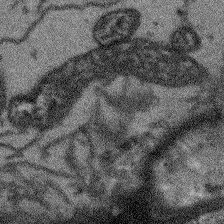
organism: Arabidopsis thaliana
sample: Root tip